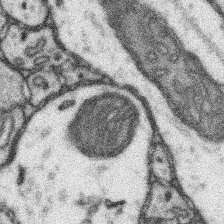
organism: Mouse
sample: Somatosensory cortex neuropil